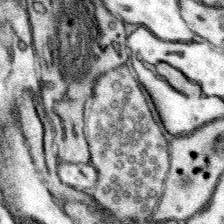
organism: Mouse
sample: Somatosensory cortex neuropil